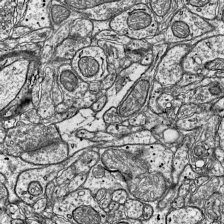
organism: Mouse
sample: Visual Cortex